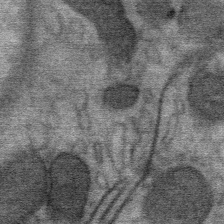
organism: Mouse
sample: Mouse Salivary gland